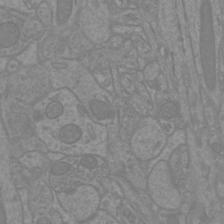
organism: Mouse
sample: Cortical neurons